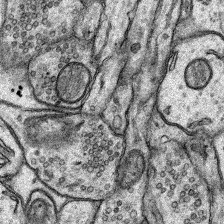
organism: Rat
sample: Hippocampus